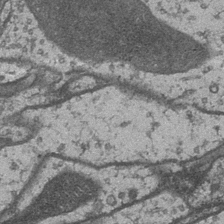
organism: Drosophila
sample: Optic medulla